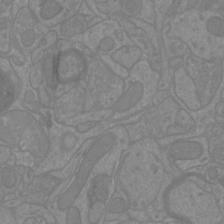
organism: Mouse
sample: Cortical neurons